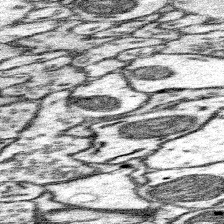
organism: Mouse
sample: Somatosensory cortex neuropil